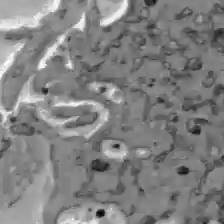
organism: C57BL Mouse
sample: Liver